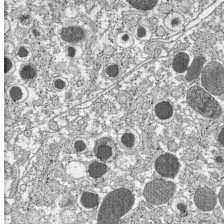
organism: C57BL Mouse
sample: Pancreatic islet